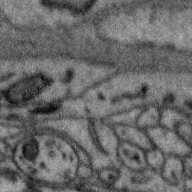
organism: Zebra finch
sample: Brain